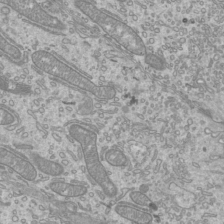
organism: Mouse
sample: Cilia; mouse epididymis